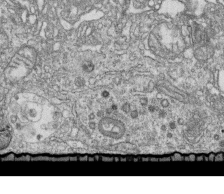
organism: Human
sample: HeLa cell HIV synapse